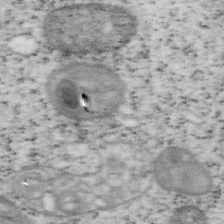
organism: Mouse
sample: OT-I killer T cells with ID8 ovarian cancer cells